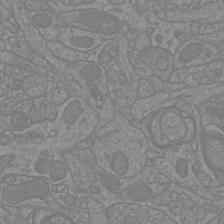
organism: Mouse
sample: Cortical neurons